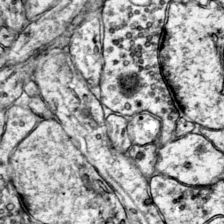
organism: Mouse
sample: Primary visual cortex